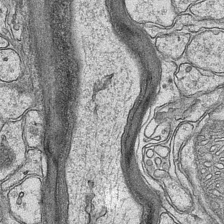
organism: Mouse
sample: CA1 Hippocampus